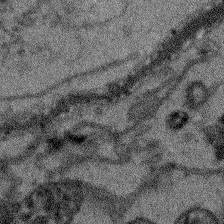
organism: Arabidopsis thaliana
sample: Root tip